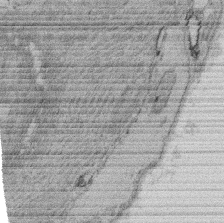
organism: Rat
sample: Salivary granule